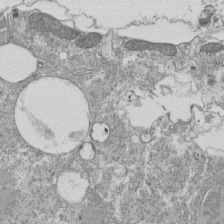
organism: Tetrahymena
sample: Cilia in tetrahymena